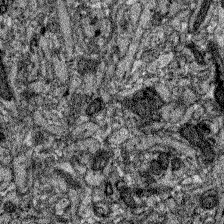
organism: Zebrafish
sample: Larval olfactory bulb